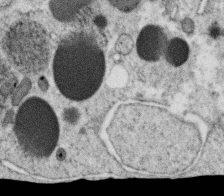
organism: C. elegans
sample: C. elegans oocyte; sperm cells